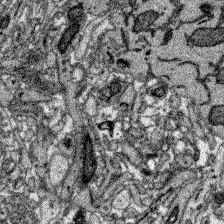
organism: Zebrafish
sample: Larval olfactory bulb